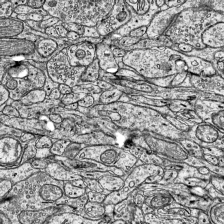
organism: Mouse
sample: Visual Cortex